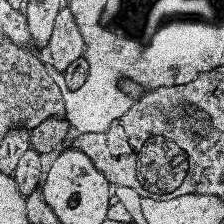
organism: Human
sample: Temporal Lobe